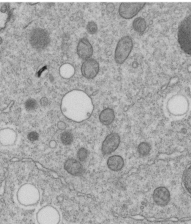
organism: C. elegans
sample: C. elegans embryo early stage